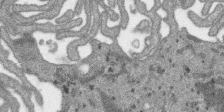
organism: Human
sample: Lung epithelial cells infected with SARS-CoV-2